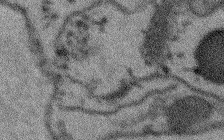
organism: Arabidopsis thaliana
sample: Root tip